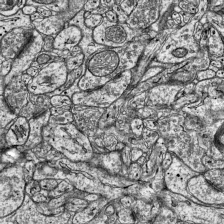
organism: Mouse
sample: Visual Cortex